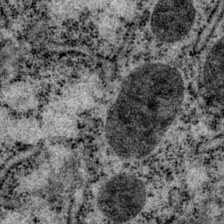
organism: P. pacificus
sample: Pharynx